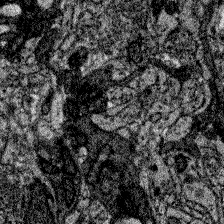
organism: Zebrafish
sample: Larval olfactory bulb